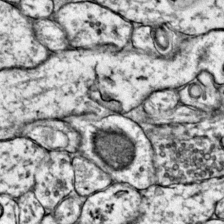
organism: Mouse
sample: Primary visual cortex